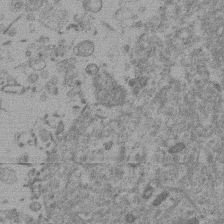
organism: Mouse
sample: Dividing mouse embryo 1 cell stage